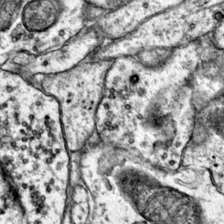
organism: Mouse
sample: Primary visual cortex